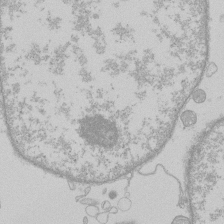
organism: Human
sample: Macrophage cells